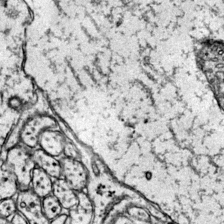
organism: Mouse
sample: Primary visual cortex